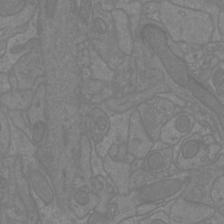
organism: Mouse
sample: Cortical neurons